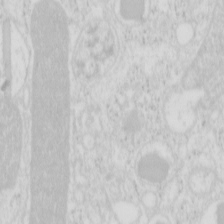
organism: Mouse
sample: Pancreas